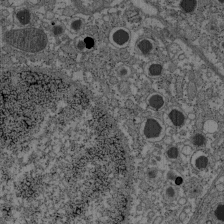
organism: C57BL Mouse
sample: Pancreatic islet